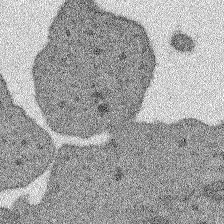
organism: Human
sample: HeLa cells